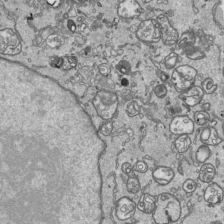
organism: Human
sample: Mitochondria in HCT116 cells